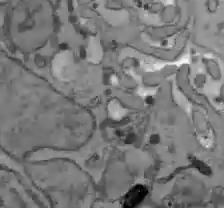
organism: C57BL Mouse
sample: Liver